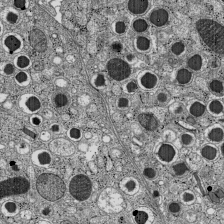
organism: C57BL Mouse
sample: Pancreatic islet